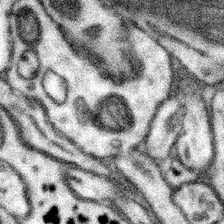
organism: Mouse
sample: Somatosensory cortex neuropil